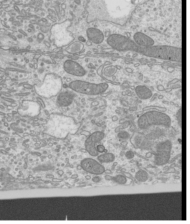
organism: Mouse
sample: Cilia; mouse epididymis